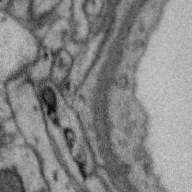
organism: Zebra finch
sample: Brain